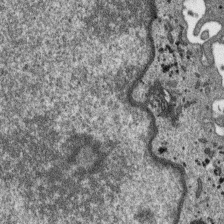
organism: Human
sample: Lung epithelial cells infected with SARS-CoV-2